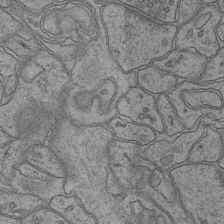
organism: Mouse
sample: CA1 Hippocampus